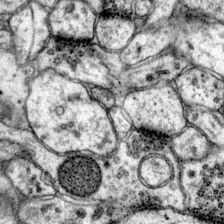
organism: Mouse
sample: Primary visual cortex